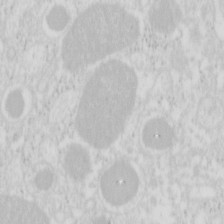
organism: Mouse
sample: Pancreas